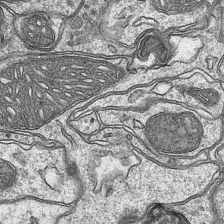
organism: Mouse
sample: CA1 Hippocampus